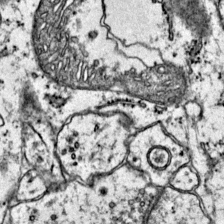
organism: Mouse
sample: Primary visual cortex